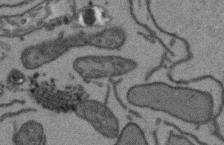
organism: Arabidopsis thaliana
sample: Root tip